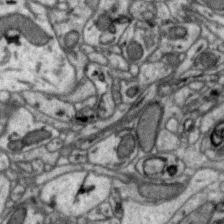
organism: Zebra finch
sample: Brain